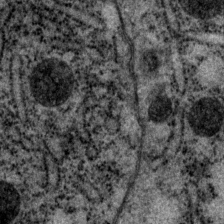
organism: P. pacificus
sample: Pharynx